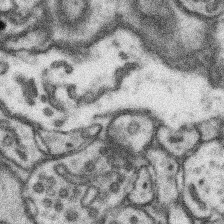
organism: Mouse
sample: Somatosensory cortex neuropil